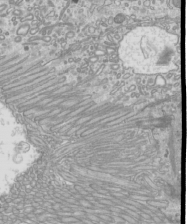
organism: Mouse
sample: Cilia; mouse epididymis